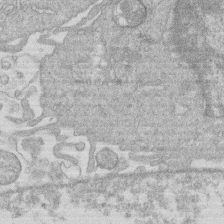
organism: Human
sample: Macrophage cells